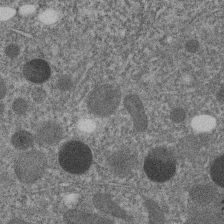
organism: C. elegans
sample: C. elegans embryo early stage